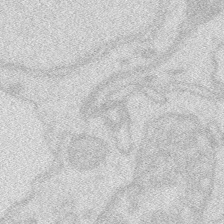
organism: Zebrafish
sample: Macrophage